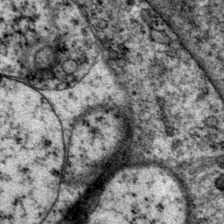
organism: P. pacificus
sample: Pharynx